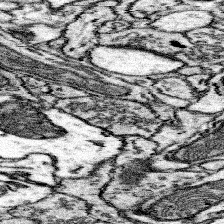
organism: Mouse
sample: Somatosensory cortex neuropil